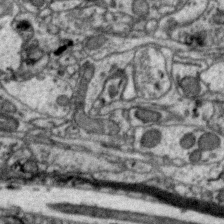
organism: Zebra finch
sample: Brain